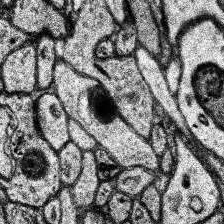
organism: Human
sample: Temporal Lobe